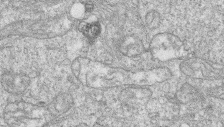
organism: Human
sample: HeLa cell HIV synapse